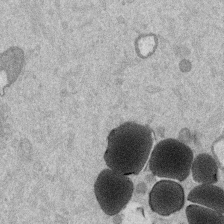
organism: Mouse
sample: Dividing mouse embryo 1 cell stage